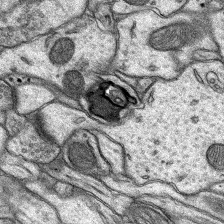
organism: Rat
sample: Hippocampus